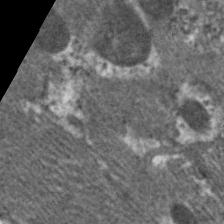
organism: C. elegans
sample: Pharynx